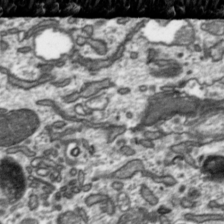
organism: Toxoplasma gondii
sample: Parasites in a vacuole inside a host cell